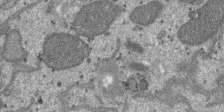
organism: Human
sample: Lung epithelial cells infected with SARS-CoV-2